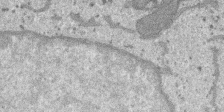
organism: Human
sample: Lung epithelial cells infected with SARS-CoV-2